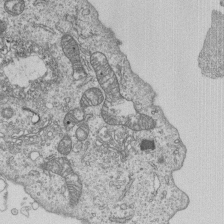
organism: Human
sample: MDA-MB-231 cells